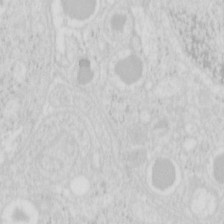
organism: Mouse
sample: Pancreas